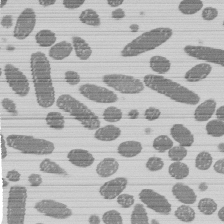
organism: E. coli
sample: Bacterial nucleoid